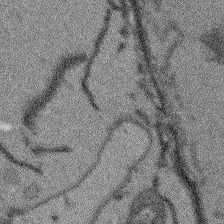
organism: Arabidopsis thaliana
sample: Root tip